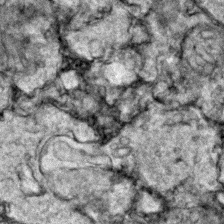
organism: Zebrafish